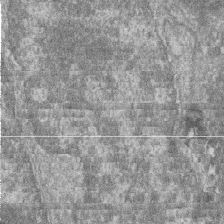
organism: Zebrafish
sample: Cilia; retinal pigment epithelium